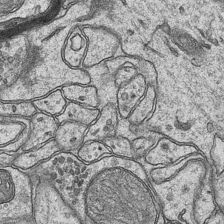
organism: Mouse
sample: CA1 Hippocampus